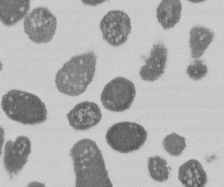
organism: E. coli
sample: Bacterial nucleoid